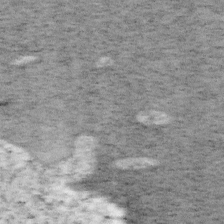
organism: Mouse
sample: OT-I killer T cells with ID8 ovarian cancer cells